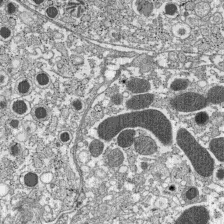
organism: C57BL Mouse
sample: Pancreatic islet